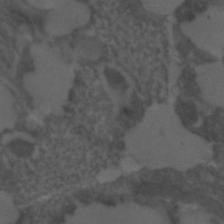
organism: C. elegans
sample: C. elegans embryo